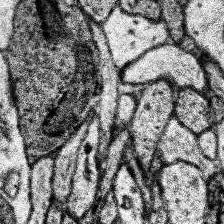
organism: Human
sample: Temporal Lobe